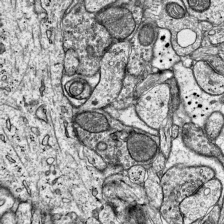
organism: Mouse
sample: Visual Cortex